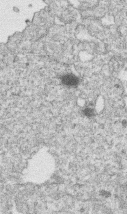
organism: Human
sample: HeLa cell HIV synapse